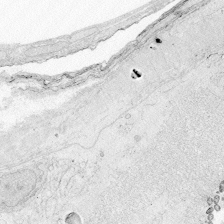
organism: Zebrafish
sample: Whole-Brain